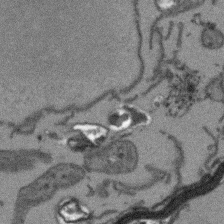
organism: Arabidopsis thaliana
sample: Root tip